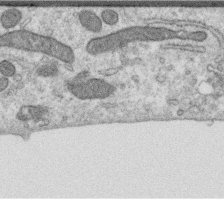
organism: Human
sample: Centriole in RPE cells